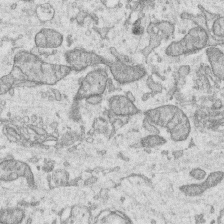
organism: Human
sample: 1205lu cells